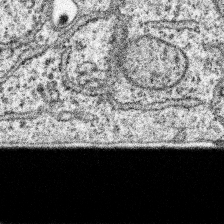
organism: Human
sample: HeLa cells